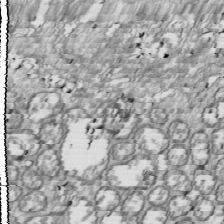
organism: Drosophila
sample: Cell division; meiosis; drosophila spermatocytes